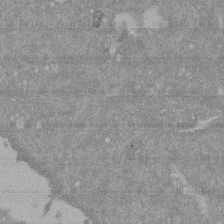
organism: Mouse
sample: ED-1 cell nuclei; centrioles